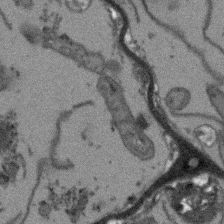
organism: Arabidopsis thaliana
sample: Root tip